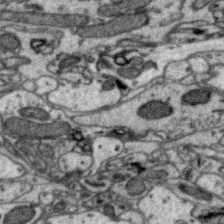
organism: Zebra finch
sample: Brain